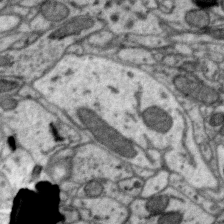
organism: Zebra finch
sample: Brain